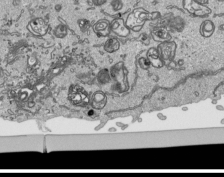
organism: Human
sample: Mitochondria in HCT116 cells